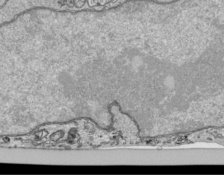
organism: Human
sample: Mitochondria in HCT116 cells